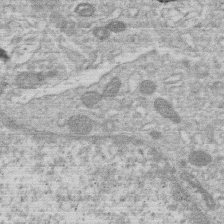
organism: Human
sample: Macrophage cells